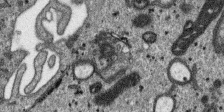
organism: Human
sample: Lung epithelial cells infected with SARS-CoV-2